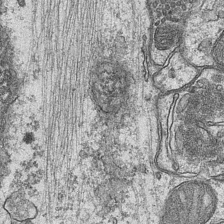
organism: Mouse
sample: CA1 Hippocampus